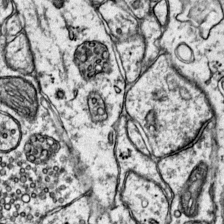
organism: Mouse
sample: Primary visual cortex